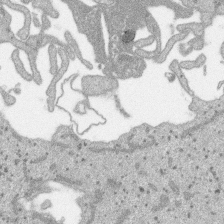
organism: Human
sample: Lung epithelial cells infected with SARS-CoV-2